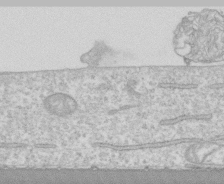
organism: Human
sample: CRL-1474